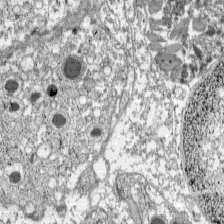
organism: C57BL Mouse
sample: Pancreatic islet